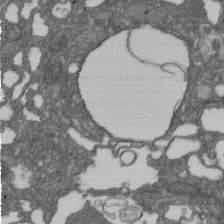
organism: Drosophila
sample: Nephrocyte